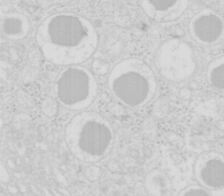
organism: Mouse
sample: Pancreas